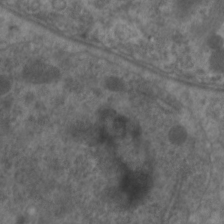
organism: C. elegans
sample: Pharynx